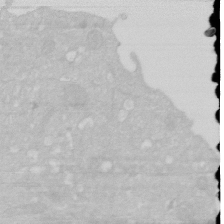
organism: Human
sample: HIV infected U937 cells